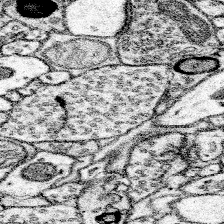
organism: Mouse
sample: Somatosensory cortex neuropil